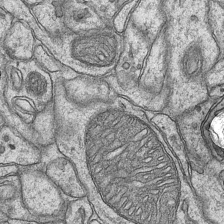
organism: Mouse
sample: CA1 Hippocampus